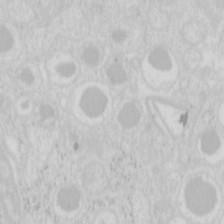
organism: Mouse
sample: Pancreas